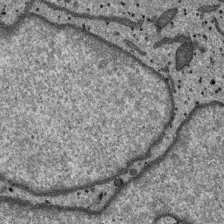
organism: Human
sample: Lung epithelial cells, uninfected (mock) control